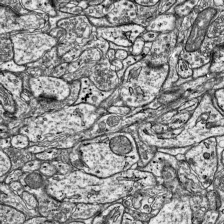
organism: Mouse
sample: Visual Cortex